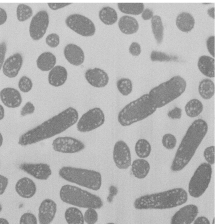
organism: E. coli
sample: Bacterial nucleoid